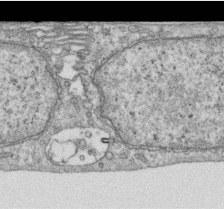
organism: Human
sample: Centriole in RPE cells